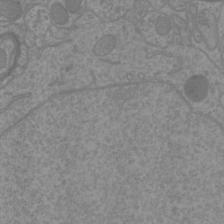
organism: Mouse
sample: Cortical neurons